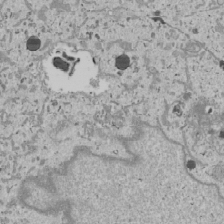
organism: Human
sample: Mitochondria in U2OS cells